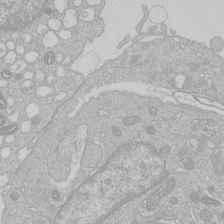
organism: Human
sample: Macrophage cells